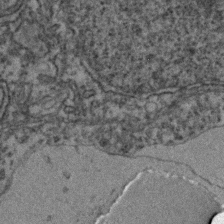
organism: Zebrafish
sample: Zebrafish embryo